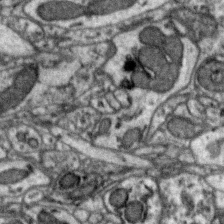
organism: Zebra finch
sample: Brain